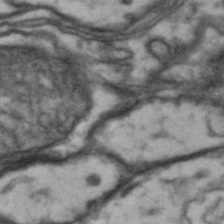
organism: Drosophila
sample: Brain